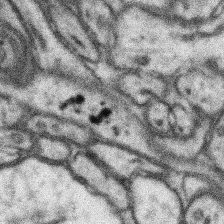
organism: Mouse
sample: Somatosensory cortex neuropil